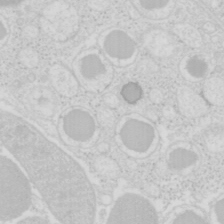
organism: Mouse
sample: Pancreas